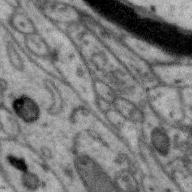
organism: Zebra finch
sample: Brain